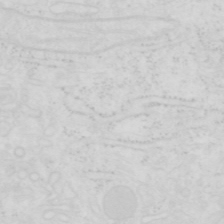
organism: Human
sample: SUM-159 cell